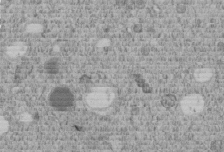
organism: C. elegans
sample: C. elegans embryo early stage